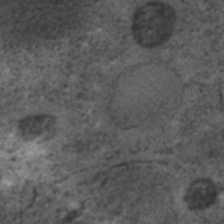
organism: C. elegans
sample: C. elegans embryo